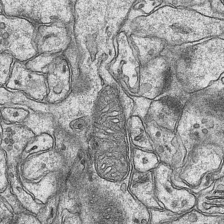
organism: Mouse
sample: CA1 Hippocampus